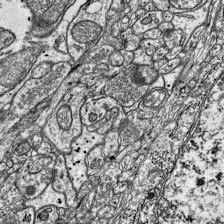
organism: Mouse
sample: Visual Cortex